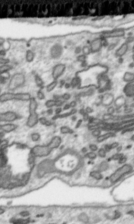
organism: Toxoplasma gondii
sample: Parasites in a vacuole inside a host cell